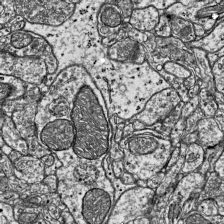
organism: Mouse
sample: Visual Cortex